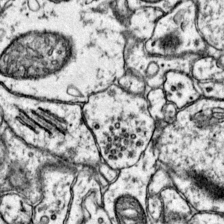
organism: Mouse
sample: Primary visual cortex